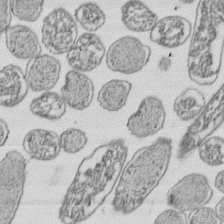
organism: E. coli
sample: Bacterial nucleoid